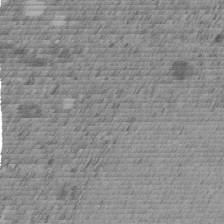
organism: C. elegans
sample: C. elegans embryo early stage